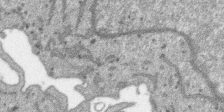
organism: Human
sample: Lung epithelial cells infected with SARS-CoV-2